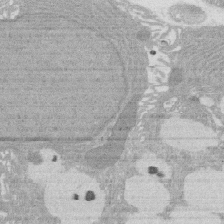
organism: Rat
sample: Salivary granule